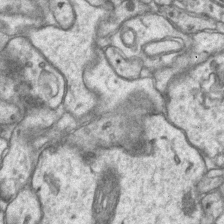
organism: Mouse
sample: CA1 Hippocampus